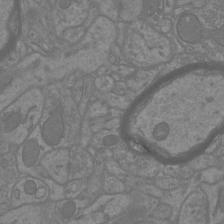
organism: Mouse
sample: Cortical neurons